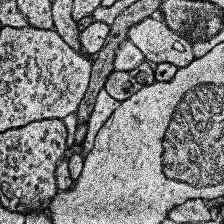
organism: Human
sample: Temporal Lobe